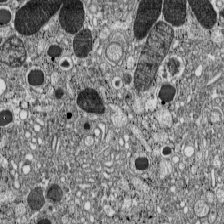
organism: C57BL Mouse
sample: Pancreatic islet